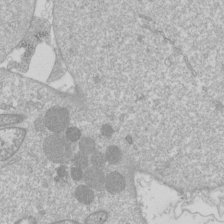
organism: Drosophila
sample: Cell division; meiosis; drosophila spermatocytes